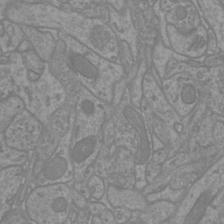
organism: Mouse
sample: Cortical neurons